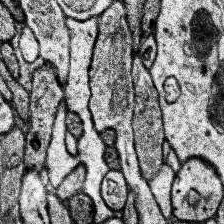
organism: Human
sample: Temporal Lobe